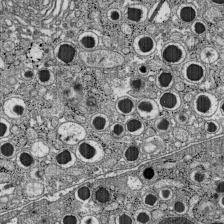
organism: C57BL Mouse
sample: Pancreatic islet